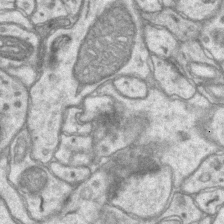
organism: Mouse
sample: CA1 Hippocampus